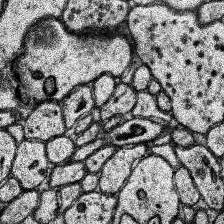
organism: Human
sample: Temporal Lobe